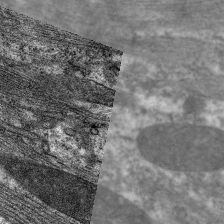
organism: C. elegans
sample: Pharynx